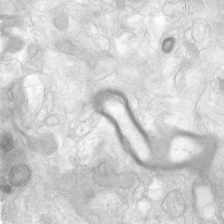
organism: Human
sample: Neocortex